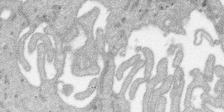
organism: Human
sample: Lung epithelial cells infected with SARS-CoV-2